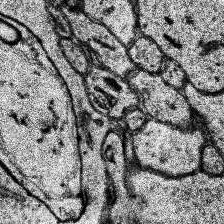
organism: Human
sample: Temporal Lobe